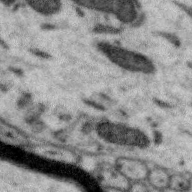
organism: Zebra finch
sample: Brain